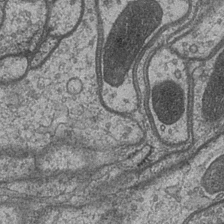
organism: Drosophila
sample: Optic medulla